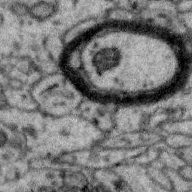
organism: Zebra finch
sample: Brain